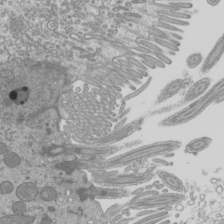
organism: Mouse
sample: Cilia; mouse epididymis